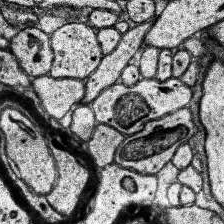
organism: Human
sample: Temporal Lobe